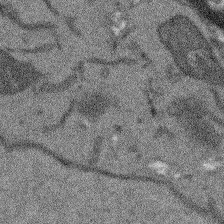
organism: Arabidopsis thaliana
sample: Root tip